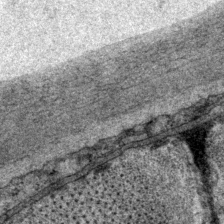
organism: P. pacificus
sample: Pharynx